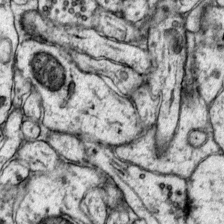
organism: Mouse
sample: Primary visual cortex